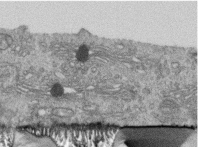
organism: Human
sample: Centriole in RPE cells